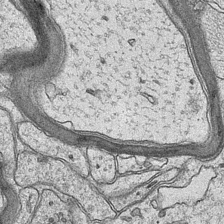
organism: Mouse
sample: CA1 Hippocampus